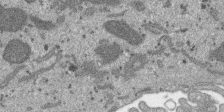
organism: Human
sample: Lung epithelial cells infected with SARS-CoV-2